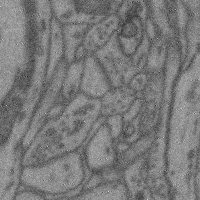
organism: Mouse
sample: Cerebral cortex